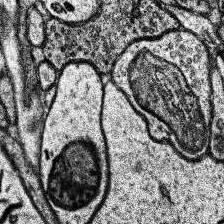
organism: Human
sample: Temporal Lobe